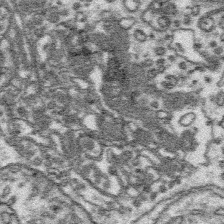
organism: Platynereis dumerilii